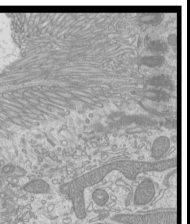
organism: Mouse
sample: Cilia; mouse epididymis